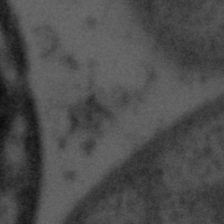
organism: Tuwongella immobilis